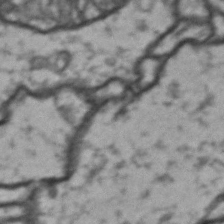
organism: Drosophila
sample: Brain